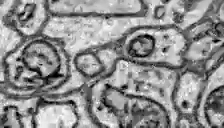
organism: Zebrafish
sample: Brain